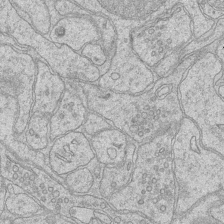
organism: Mouse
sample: CA1 Hippocampus